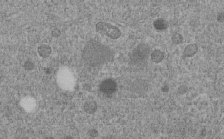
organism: C. elegans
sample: C. elegans embryo early stage